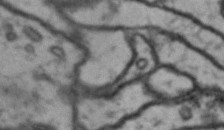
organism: Drosophila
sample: Brain